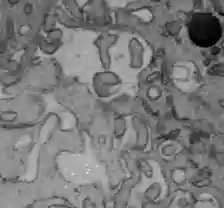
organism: C57BL Mouse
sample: Liver